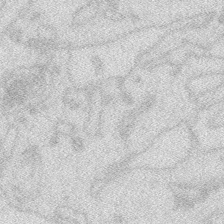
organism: Zebrafish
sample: Macrophage